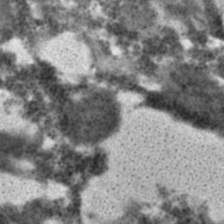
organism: C. elegans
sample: C. elegans embryo